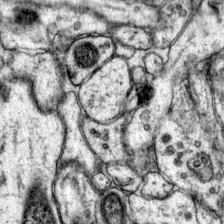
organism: Mouse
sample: Primary visual cortex